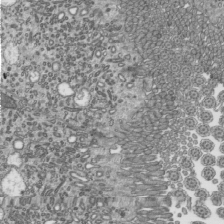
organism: Mouse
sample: Mouse epididymis efferent ductule cilia